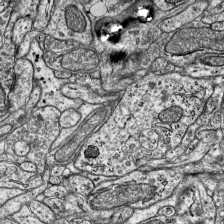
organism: Mouse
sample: Visual Cortex